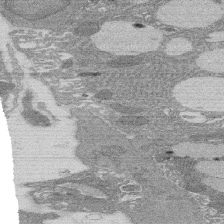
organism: Rat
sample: Salivary granule